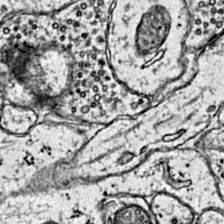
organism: Mouse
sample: Primary visual cortex